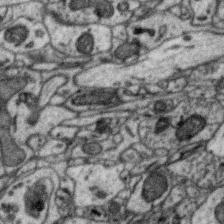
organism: Zebra finch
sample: Brain